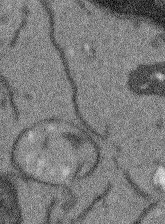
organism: Arabidopsis thaliana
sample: Root tip